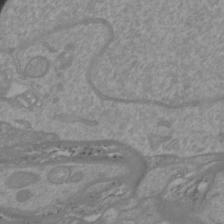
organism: Mouse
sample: Cortical neurons